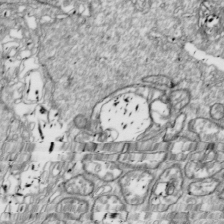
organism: Drosophila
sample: Cell division; meiosis; drosophila spermatocytes